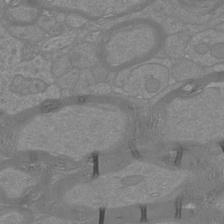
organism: Mouse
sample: Cortical neurons